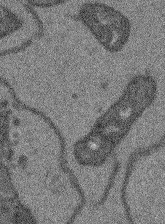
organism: Arabidopsis thaliana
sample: Root tip